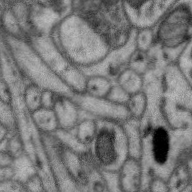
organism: Zebra finch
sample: Brain